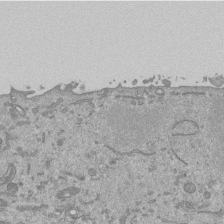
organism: Mouse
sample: ED-1 cell nuclei; centrioles